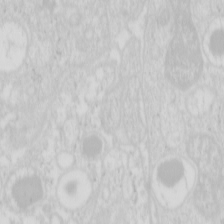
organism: Mouse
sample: Pancreas